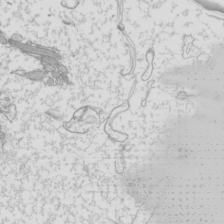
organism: Mouse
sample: Cilia; mouse epididymis